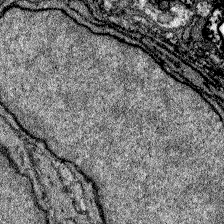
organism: Zebrafish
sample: Larval olfactory bulb